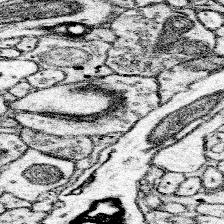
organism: Mouse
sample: Somatosensory cortex neuropil